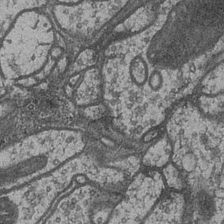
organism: Drosophila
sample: Optic medulla